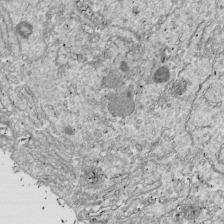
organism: Drosophila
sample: Cell division; meiosis; drosophila spermatocytes